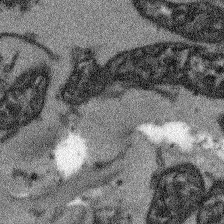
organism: Arabidopsis thaliana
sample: Root tip